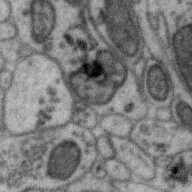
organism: Zebra finch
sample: Brain